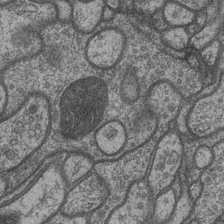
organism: Drosophila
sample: Optic medulla